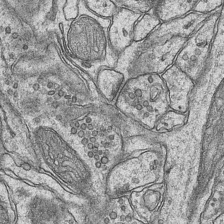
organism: Mouse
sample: CA1 Hippocampus